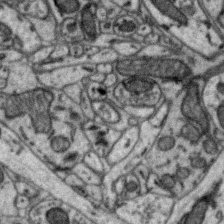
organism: Zebra finch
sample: Brain